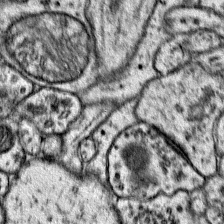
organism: Mouse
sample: Primary visual cortex